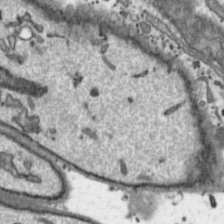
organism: Toxoplasma gondii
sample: Parasites in a vacuole inside a host cell